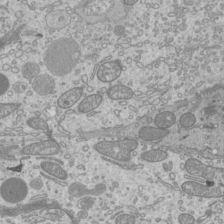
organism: Mouse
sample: Cilia; mouse epididymis